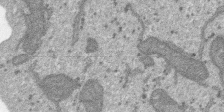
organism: Human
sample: Lung epithelial cells infected with SARS-CoV-2